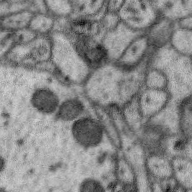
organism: Zebra finch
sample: Brain